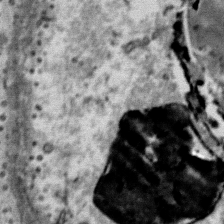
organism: Mouse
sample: Mouse Salivary gland